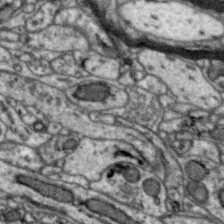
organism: Zebra finch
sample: Brain